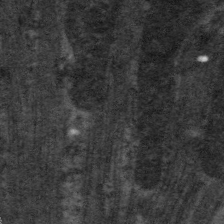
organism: C. elegans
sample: Pharynx